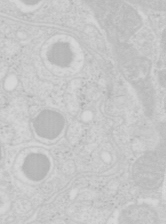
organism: Mouse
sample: Pancreas